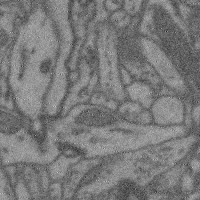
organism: Mouse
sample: Cerebral cortex